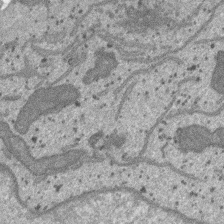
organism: Human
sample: Lung epithelial cells infected with SARS-CoV-2